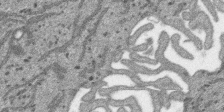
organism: Human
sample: Lung epithelial cells infected with SARS-CoV-2